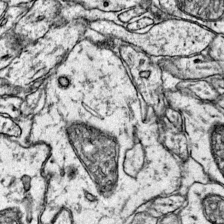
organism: Mouse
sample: Primary visual cortex